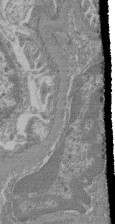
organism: Mouse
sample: Glomerulus